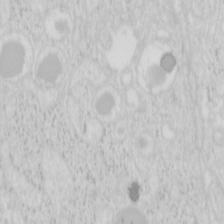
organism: Mouse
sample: Pancreas